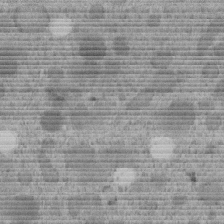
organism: C. elegans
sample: C. elegans embryo early stage